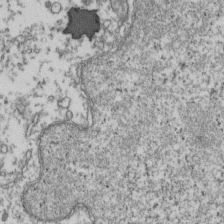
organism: Human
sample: Activated Jurkat CD4+ T cells